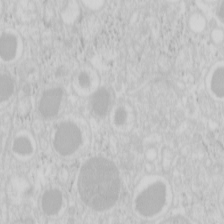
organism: Mouse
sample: Pancreas